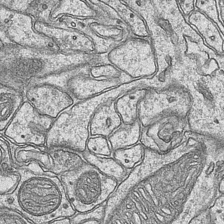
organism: Mouse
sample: CA1 Hippocampus